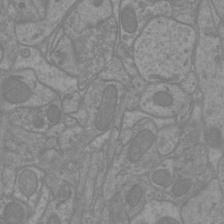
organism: Mouse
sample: Cortical neurons